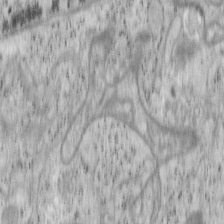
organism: Human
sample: HeLa cells